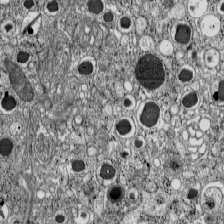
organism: C57BL Mouse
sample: Pancreatic islet